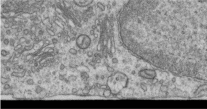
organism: Human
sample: Centriole in RPE cells